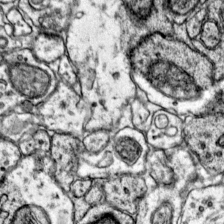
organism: Mouse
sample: Primary visual cortex